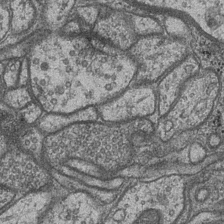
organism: Drosophila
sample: Optic medulla